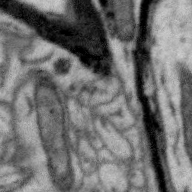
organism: Zebra finch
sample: Brain